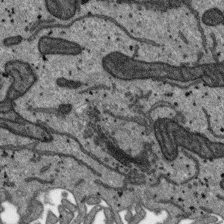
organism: Human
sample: Lung epithelial cells, uninfected (mock) control